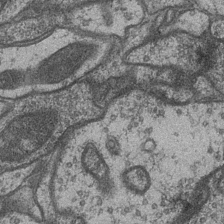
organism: Drosophila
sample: Optic medulla